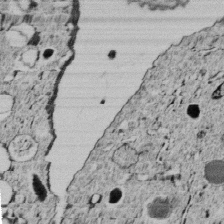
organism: C. elegans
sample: C. elegans embryo early stage